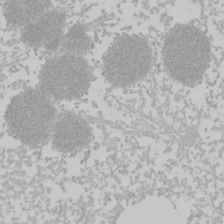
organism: Mouse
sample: Cancer cell death in ED-1 cells